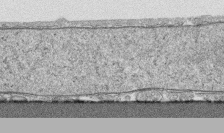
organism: Human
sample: CRL-1474